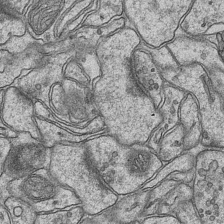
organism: Mouse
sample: CA1 Hippocampus